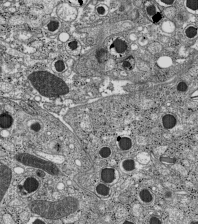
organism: C57BL Mouse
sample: Pancreatic islet